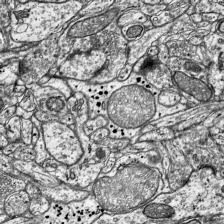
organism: Mouse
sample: Visual Cortex